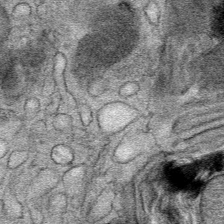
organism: Mouse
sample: Mouse Salivary gland